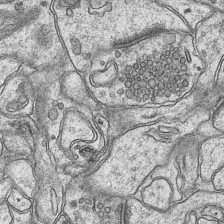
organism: Mouse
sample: CA1 Hippocampus